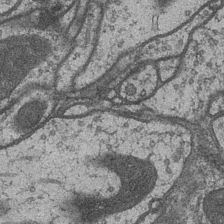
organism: Drosophila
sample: Optic medulla